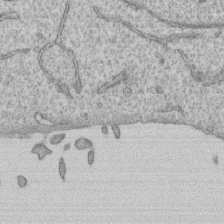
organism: Human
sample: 1205lu cells